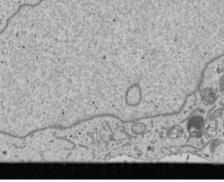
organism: Human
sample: Mitochondria in U2OS cells